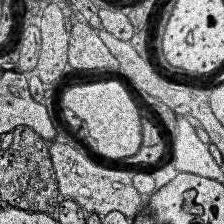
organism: Human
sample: Temporal Lobe